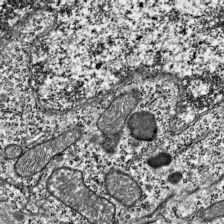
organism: Mouse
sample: Visual Cortex